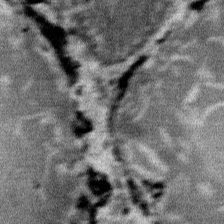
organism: Mouse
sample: Mouse Salivary gland